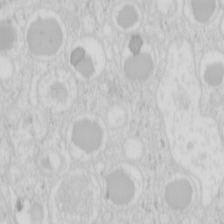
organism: Mouse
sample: Pancreas